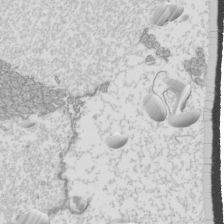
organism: Mouse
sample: Cilia; mouse epididymis